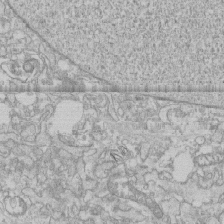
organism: Human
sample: CRL-1474